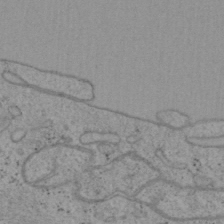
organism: Human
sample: HeLa cells